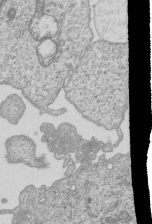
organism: Human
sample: MDA-MB-231 cells